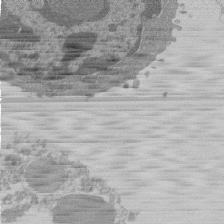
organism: Mouse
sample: Activated Pmel transgenic CD8+ T Cells